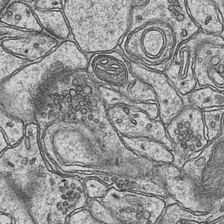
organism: Mouse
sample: CA1 Hippocampus